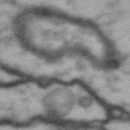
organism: Drosophila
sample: Brain